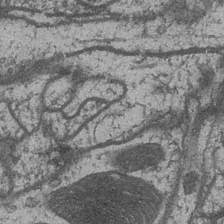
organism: Drosophila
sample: Optic medulla